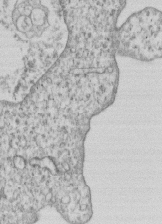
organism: Human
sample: MDA-MB-231 cells